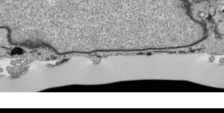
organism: Human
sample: Mitochondria in HCT116 cells